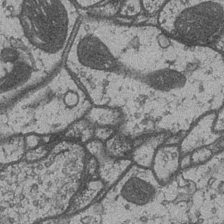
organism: Drosophila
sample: Optic medulla